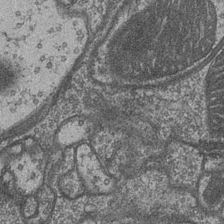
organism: Drosophila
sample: Optic medulla